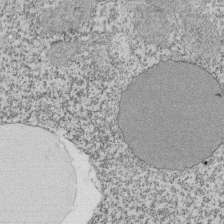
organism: Tetrahymena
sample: Cilia in tetrahymena